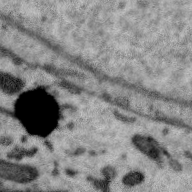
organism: Zebra finch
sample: Brain